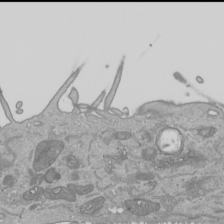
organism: Human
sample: Mitochondria in HCT116 cells